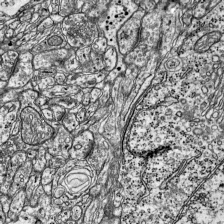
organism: Mouse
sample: Visual Cortex